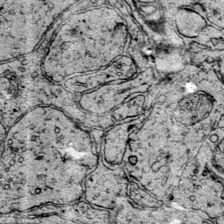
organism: Mouse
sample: Primary visual cortex